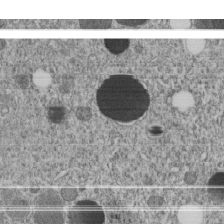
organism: C. elegans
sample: C. elegans embryo early stage